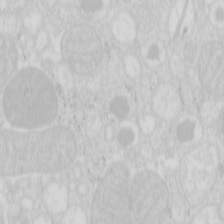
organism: Mouse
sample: Pancreas